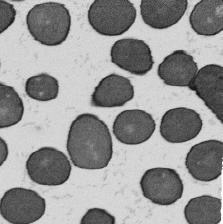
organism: B. subtilis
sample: Bacterial spore